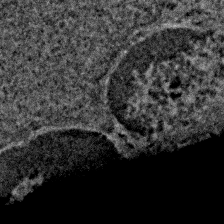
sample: Trachea